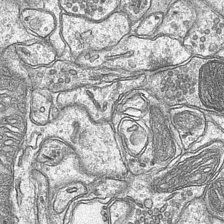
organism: Mouse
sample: CA1 Hippocampus